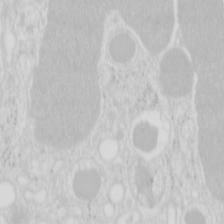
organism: Mouse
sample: Pancreas